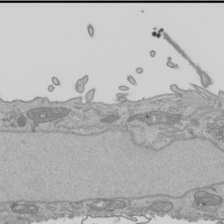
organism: Human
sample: Mitochondria in HCT116 cells